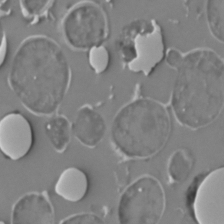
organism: C. elegans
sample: C. elegans embryo